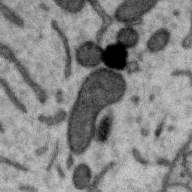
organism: Zebra finch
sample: Brain